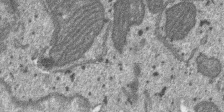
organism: Human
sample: Lung epithelial cells infected with SARS-CoV-2